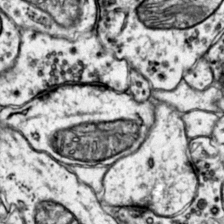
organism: Mouse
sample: Primary visual cortex